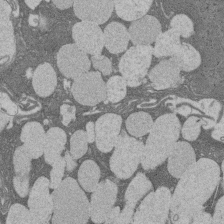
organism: Rat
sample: Salivary granule